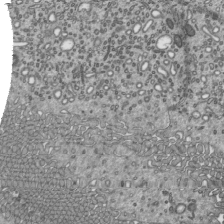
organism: Mouse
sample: Mouse epididymis efferent ductule cilia